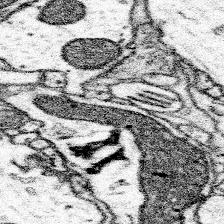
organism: Mouse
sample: Somatosensory cortex neuropil